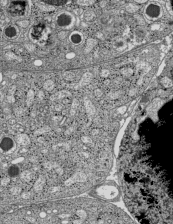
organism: C57BL Mouse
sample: Pancreatic islet